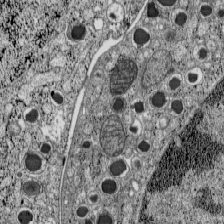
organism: C57BL Mouse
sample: Pancreatic islet